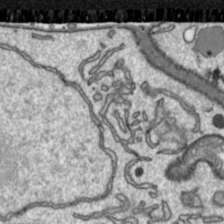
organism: Toxoplasma gondii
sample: Parasites in a vacuole inside a host cell